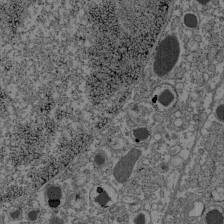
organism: C57BL Mouse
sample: Pancreatic islet